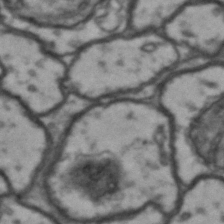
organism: Drosophila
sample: Brain